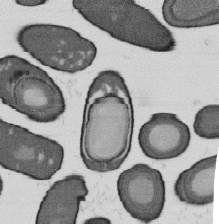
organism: B. subtilis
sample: Bacterial spore